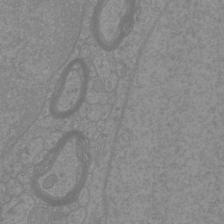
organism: Mouse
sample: Cortical neurons